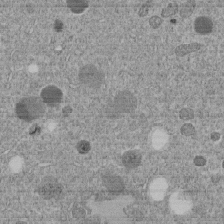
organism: C. elegans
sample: C. elegans embryo early stage